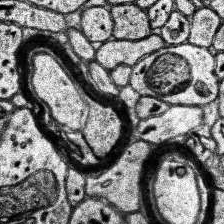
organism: Human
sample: Temporal Lobe